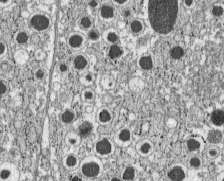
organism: C57BL Mouse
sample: Pancreatic islet